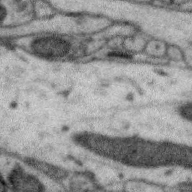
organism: Zebra finch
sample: Brain